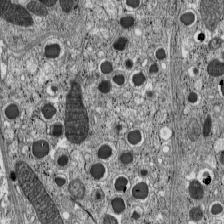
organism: C57BL Mouse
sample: Pancreatic islet